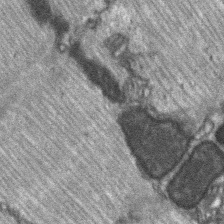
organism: C57BL Mouse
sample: Soleus